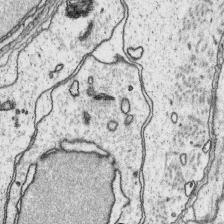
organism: Platynereis dumerilii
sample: Parapodia